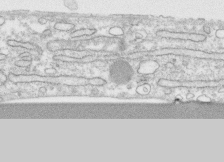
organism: Human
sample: CRL-1474